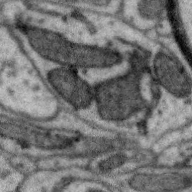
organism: Zebra finch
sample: Brain